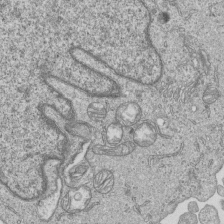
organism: Human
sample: MDA-MB-231 cells